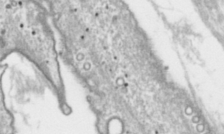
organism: Toxoplasma gondii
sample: Parasites in a vacuole inside a host cell